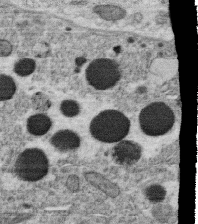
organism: C. elegans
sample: C. elegans oocyte; sperm cells